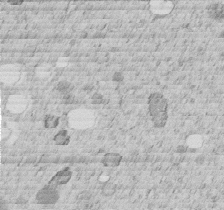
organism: C. elegans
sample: C. elegans embryo early stage